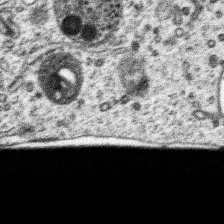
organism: Human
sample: HeLa cells